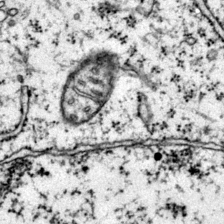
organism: Mouse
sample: Primary visual cortex